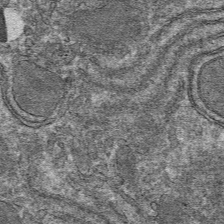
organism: Mouse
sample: Mouse hepatocytes